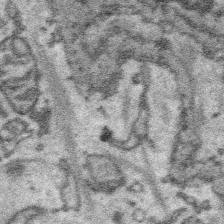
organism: Platynereis dumerilii